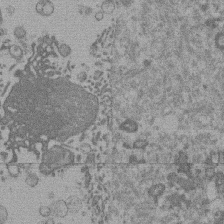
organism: Mouse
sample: Dividing mouse embryo 1 cell stage